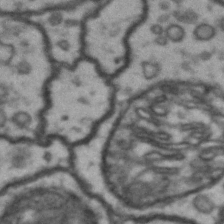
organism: Drosophila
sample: Brain